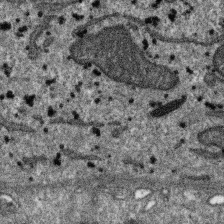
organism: Human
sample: Lung epithelial cells infected with SARS-CoV-2